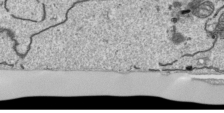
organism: Human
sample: Mitochondria in HCT116 cells